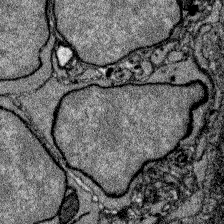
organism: Zebrafish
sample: Larval olfactory bulb